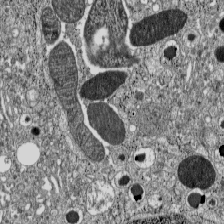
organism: C57BL Mouse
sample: Pancreatic islet